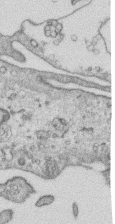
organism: Human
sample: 1205lu cells